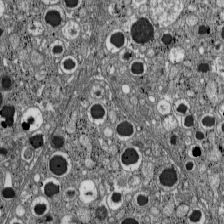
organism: C57BL Mouse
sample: Pancreatic islet